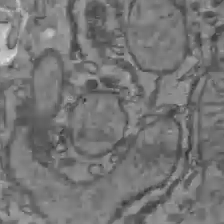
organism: C57BL Mouse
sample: Liver